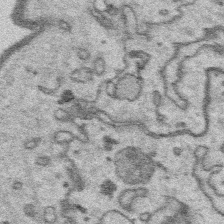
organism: Platynereis dumerilii